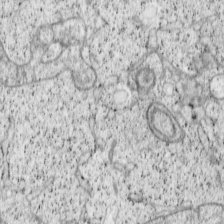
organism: African green monkey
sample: COS-7 cells